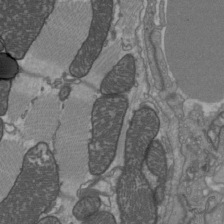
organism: C57BL Mouse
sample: Heart